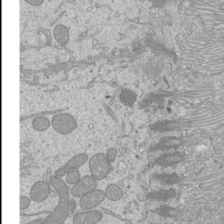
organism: Mouse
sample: Cilia; mouse epididymis